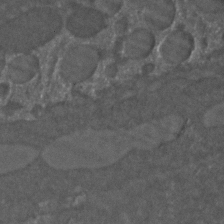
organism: C. elegans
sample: C. elegans embryo